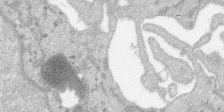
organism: Human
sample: Lung epithelial cells infected with SARS-CoV-2